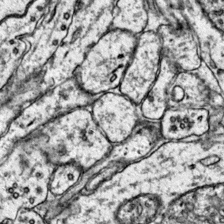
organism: Mouse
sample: Primary visual cortex